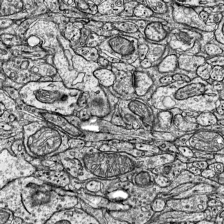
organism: Mouse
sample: Visual Cortex